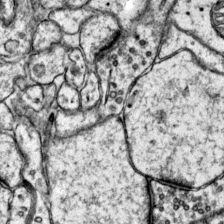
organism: Mouse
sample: Primary visual cortex